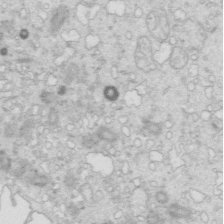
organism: Mouse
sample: Multiciliated cells